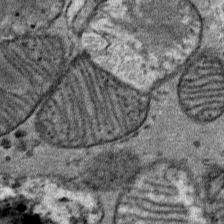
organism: Mouse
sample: Mouse Salivary gland